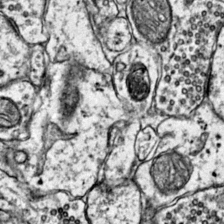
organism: Mouse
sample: Primary visual cortex